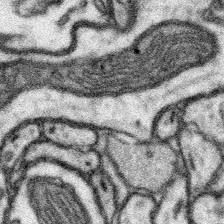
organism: Mouse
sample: Somatosensory cortex neuropil